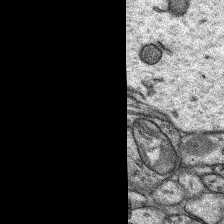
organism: Rat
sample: Hippocampus